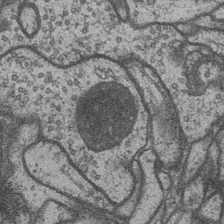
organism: Drosophila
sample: Optic medulla